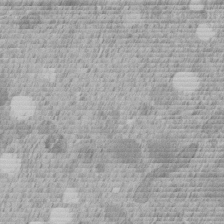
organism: C. elegans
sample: C. elegans embryo early stage